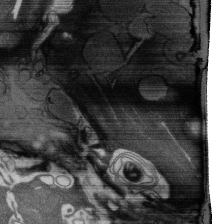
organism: Rat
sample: Salivary granule